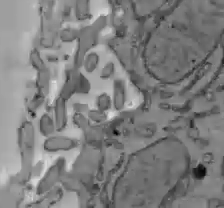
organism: C57BL Mouse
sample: Liver